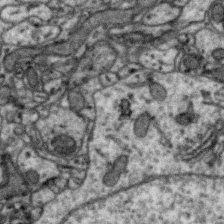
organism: Zebra finch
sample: Brain